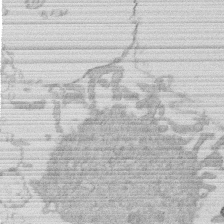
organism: Human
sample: Macrophage cells